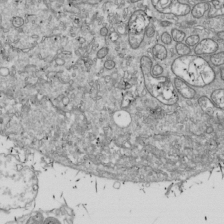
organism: Drosophila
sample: Cell division; meiosis; drosophila spermatocytes